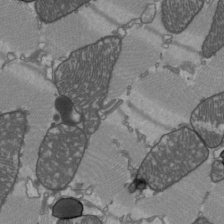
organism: C57BL Mouse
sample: Heart